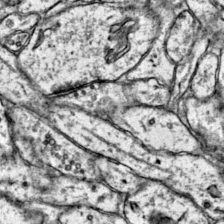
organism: Mouse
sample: Primary visual cortex